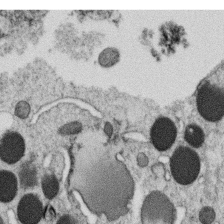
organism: C. elegans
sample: C. elegans oocyte; sperm cells